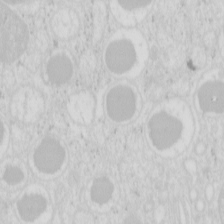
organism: Mouse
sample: Pancreas